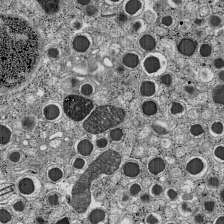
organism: C57BL Mouse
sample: Pancreatic islet